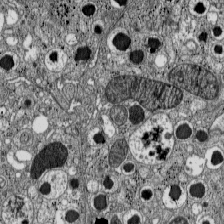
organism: C57BL Mouse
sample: Pancreatic islet